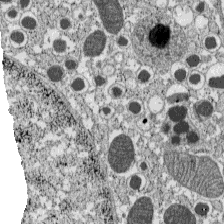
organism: C57BL Mouse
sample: Pancreatic islet